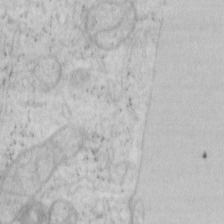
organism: Human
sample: HeLa cells